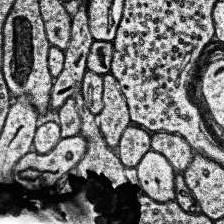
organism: Human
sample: Temporal Lobe